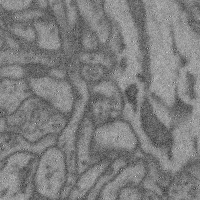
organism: Mouse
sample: Cerebral cortex